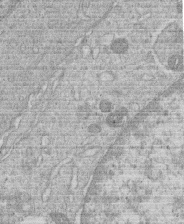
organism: Human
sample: Macrophage cells